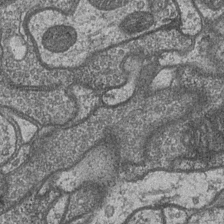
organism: Drosophila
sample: Optic medulla